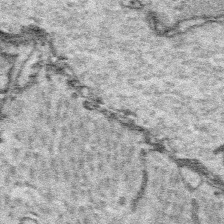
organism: Platynereis dumerilii